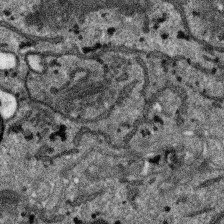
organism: Human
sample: Lung epithelial cells infected with SARS-CoV-2